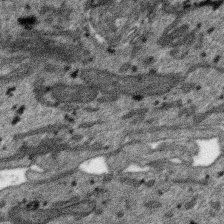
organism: Human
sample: Lung epithelial cells infected with SARS-CoV-2